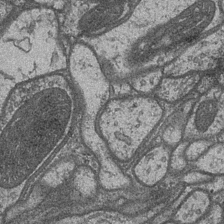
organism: Drosophila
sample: Optic medulla